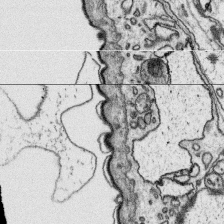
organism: Platynereis dumerilii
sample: Parapodia